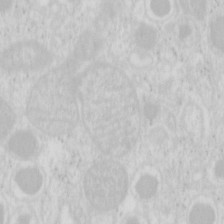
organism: Mouse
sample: Pancreas